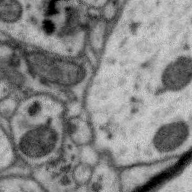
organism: Zebra finch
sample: Brain